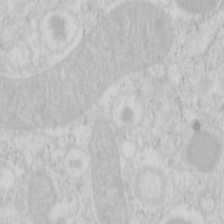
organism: Mouse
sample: Pancreas